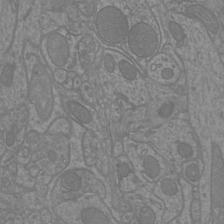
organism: Mouse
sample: Cortical neurons